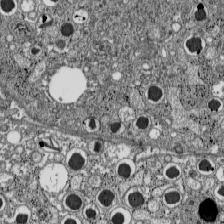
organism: C57BL Mouse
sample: Pancreatic islet